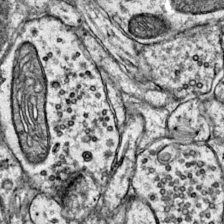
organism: Mouse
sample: Primary visual cortex